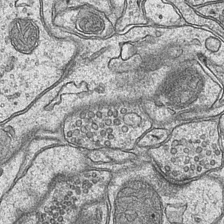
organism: Mouse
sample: CA1 Hippocampus